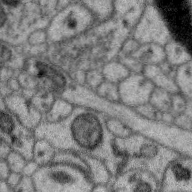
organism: Zebra finch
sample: Brain